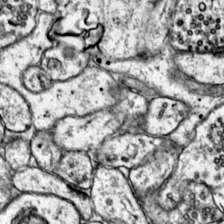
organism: Mouse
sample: Primary visual cortex